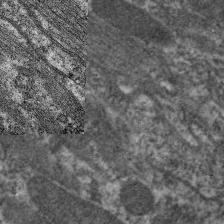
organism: C. elegans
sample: Pharynx